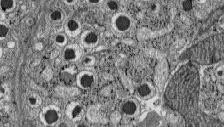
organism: C57BL Mouse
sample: Pancreatic islet